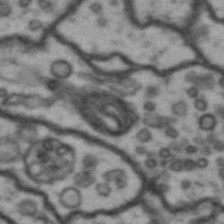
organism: Drosophila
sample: Brain